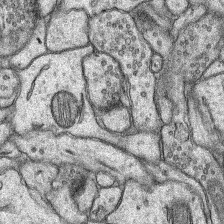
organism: Rat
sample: Hippocampus